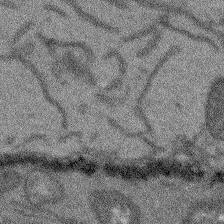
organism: Arabidopsis thaliana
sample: Root tip